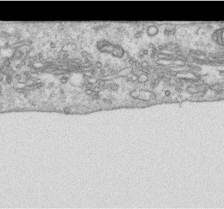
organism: Human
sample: Centriole in RPE cells